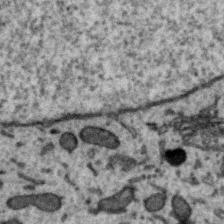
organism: Zebra finch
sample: Brain